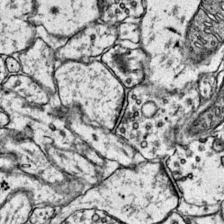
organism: Mouse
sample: Primary visual cortex